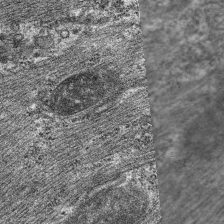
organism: C. elegans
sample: Pharynx